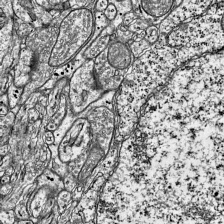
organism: Mouse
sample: Visual Cortex